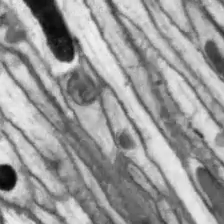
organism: Drosophila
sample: Optic lobe